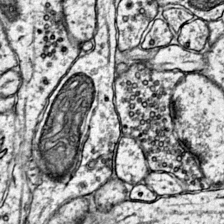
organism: Mouse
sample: Primary visual cortex